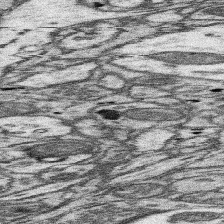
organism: Mouse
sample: Somatosensory cortex neuropil